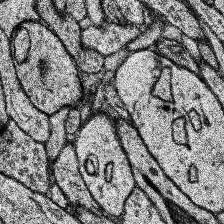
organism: Human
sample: Temporal Lobe